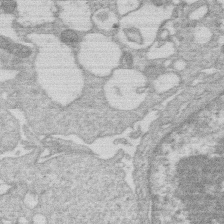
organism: Human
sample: Macrophage cells